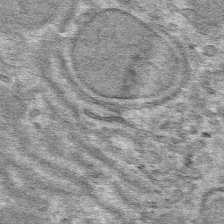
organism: Mouse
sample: Mouse hepatocytes